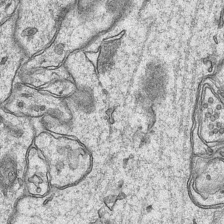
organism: Mouse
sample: CA1 Hippocampus